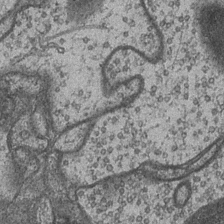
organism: Drosophila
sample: Optic medulla